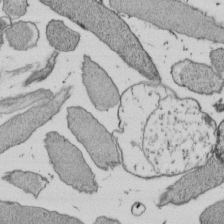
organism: E. coli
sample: Bacterial nucleoid